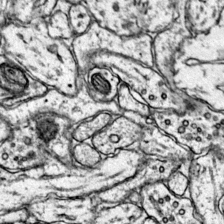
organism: Mouse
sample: Primary visual cortex